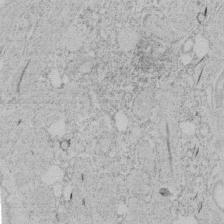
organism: Tetrahymena